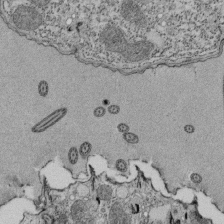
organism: Tetrahymena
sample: Cilia in tetrahymena